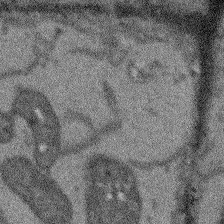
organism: Arabidopsis thaliana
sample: Root tip